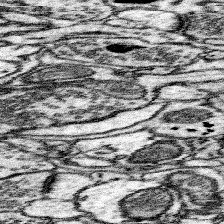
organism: Mouse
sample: Somatosensory cortex neuropil